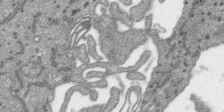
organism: Human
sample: Lung epithelial cells infected with SARS-CoV-2